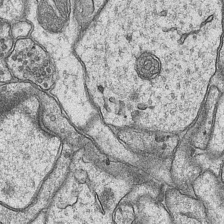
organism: Mouse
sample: CA1 Hippocampus